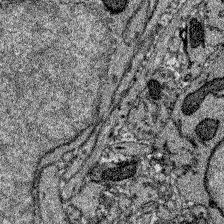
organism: Zebrafish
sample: Larval olfactory bulb